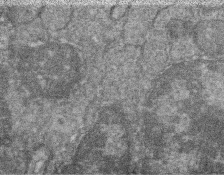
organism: Zebrafish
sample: Cilia; retinal pigment epithelium